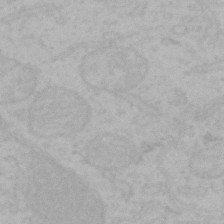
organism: Mouse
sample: Choroid plexus